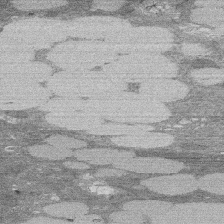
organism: Rat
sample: Salivary granule